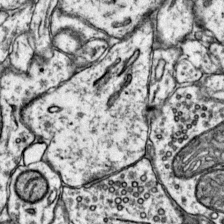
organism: Mouse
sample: Primary visual cortex